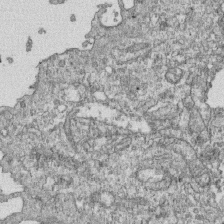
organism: Human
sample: HeLa cell HIV synapse